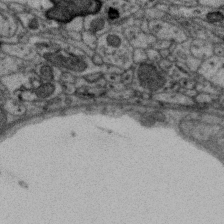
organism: Zebra finch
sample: Brain